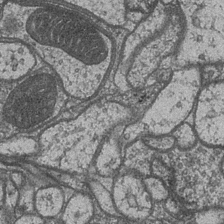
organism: Drosophila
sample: Optic medulla